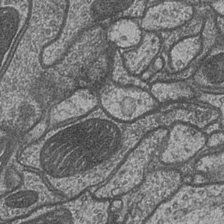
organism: Drosophila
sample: Optic medulla